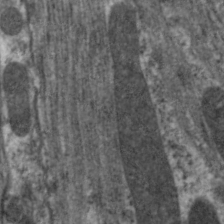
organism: C. elegans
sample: Pharynx